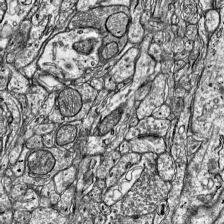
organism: Mouse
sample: Visual Cortex